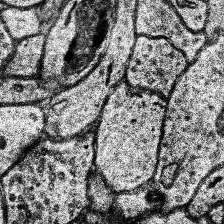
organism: Human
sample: Temporal Lobe